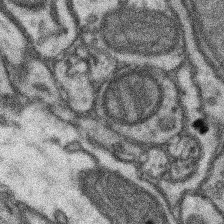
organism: Mouse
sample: Somatosensory cortex neuropil